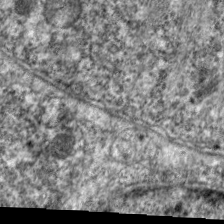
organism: C. elegans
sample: Pharynx